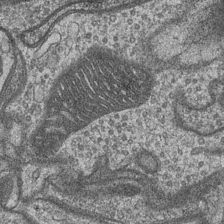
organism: Drosophila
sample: Optic medulla